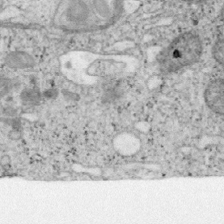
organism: Mouse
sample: OT-I killer T cells with ID8 ovarian cancer cells